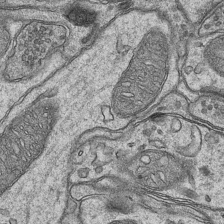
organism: Mouse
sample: CA1 Hippocampus